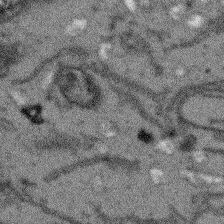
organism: Arabidopsis thaliana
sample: Root tip